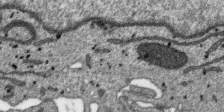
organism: Human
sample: Lung epithelial cells, uninfected (mock) control